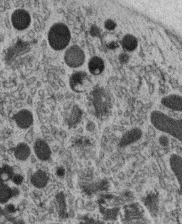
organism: C. elegans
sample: C. elegans oocyte; sperm cells